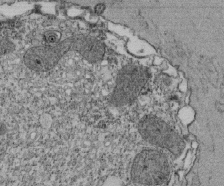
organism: Tetrahymena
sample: Cilia in tetrahymena